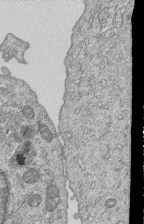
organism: Human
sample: MDA-MB-231 cells